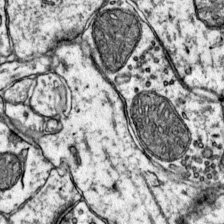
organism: Mouse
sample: Primary visual cortex